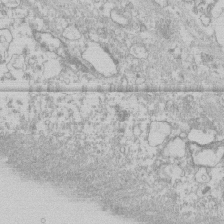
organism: Human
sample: CRL-1474